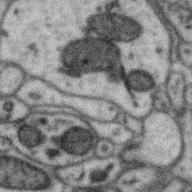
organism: Zebra finch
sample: Brain